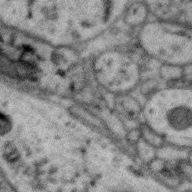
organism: Zebra finch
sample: Brain